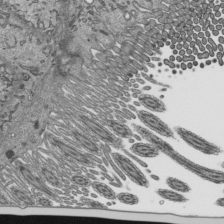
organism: Mouse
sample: Mouse epididymis efferent ductule cilia